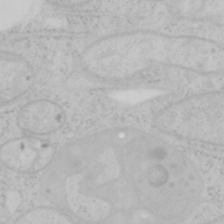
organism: Mouse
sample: OT-I killer T cells with ID8 ovarian cancer cells